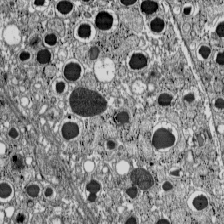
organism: C57BL Mouse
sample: Pancreatic islet